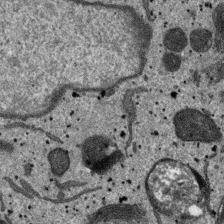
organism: Human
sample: Lung epithelial cells, uninfected (mock) control